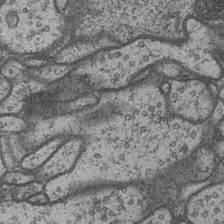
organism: Drosophila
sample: Optic medulla